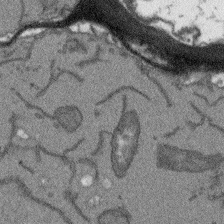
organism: Arabidopsis thaliana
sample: Root tip